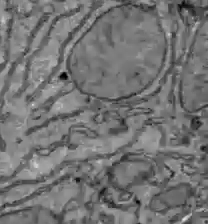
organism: C57BL Mouse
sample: Liver